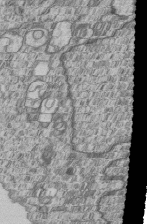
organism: Human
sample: MDA-MB-231 cells